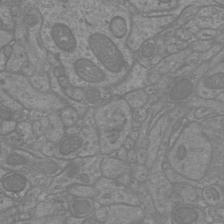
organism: Mouse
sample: Cortical neurons